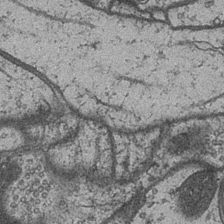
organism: Drosophila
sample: Optic medulla